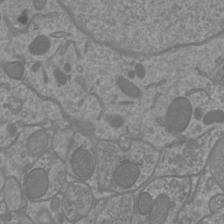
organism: Mouse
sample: Cortical neurons